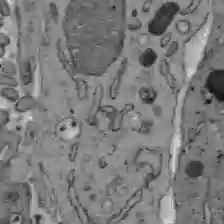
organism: C57BL Mouse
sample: Liver